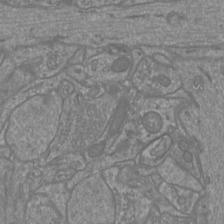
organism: Mouse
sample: Cortical neurons